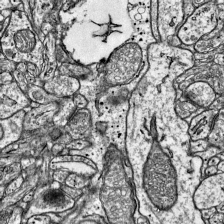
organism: Mouse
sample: Visual Cortex